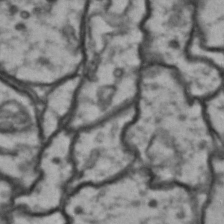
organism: Drosophila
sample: Brain